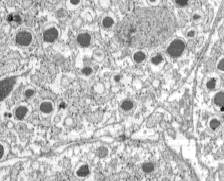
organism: C57BL Mouse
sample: Pancreatic islet